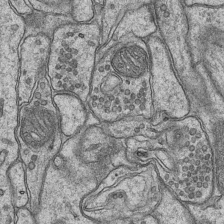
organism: Mouse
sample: CA1 Hippocampus